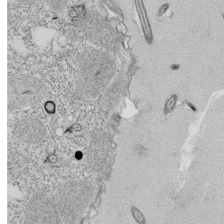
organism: Tetrahymena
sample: Cilia in tetrahymena